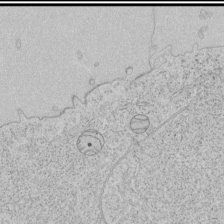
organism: Human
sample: Mitochondria in HCT116 cells